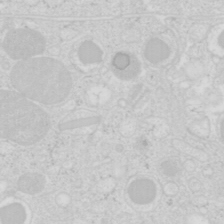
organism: Mouse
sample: Pancreas